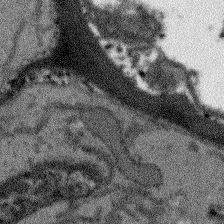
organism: Arabidopsis thaliana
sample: Root tip